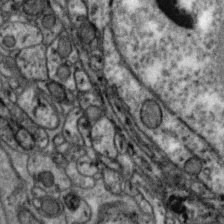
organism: Zebra finch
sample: Brain